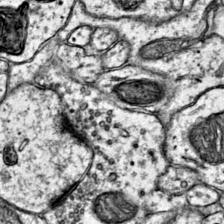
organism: Mouse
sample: Primary visual cortex